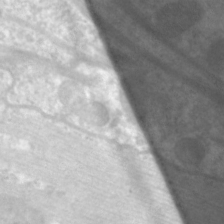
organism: C. elegans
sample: Pharynx